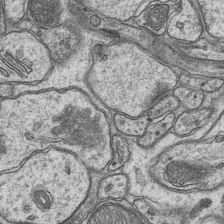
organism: Mouse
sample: CA1 Hippocampus